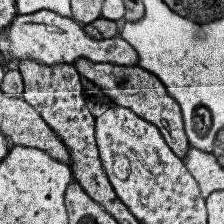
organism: Human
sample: Temporal Lobe